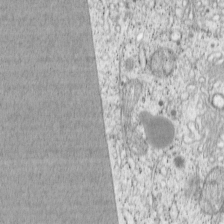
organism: African green monkey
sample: COS-7 cells